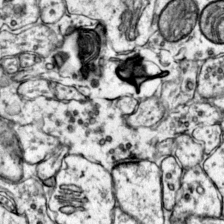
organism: Mouse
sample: Primary visual cortex